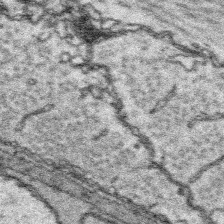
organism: Platynereis dumerilii